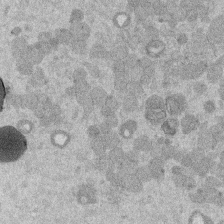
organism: Mouse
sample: Dividing mouse embryo 1 cell stage